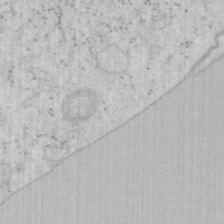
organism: Human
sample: HeLa cells